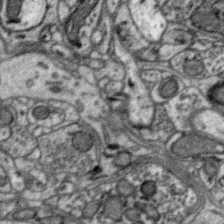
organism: Zebra finch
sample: Brain